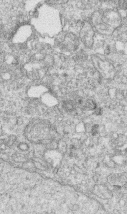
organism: Human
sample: HeLa cell HIV synapse